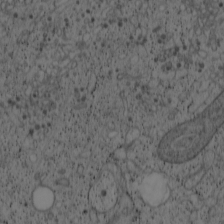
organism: African green monkey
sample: COS-7 cells